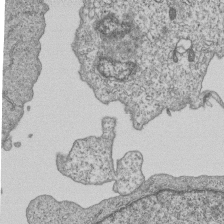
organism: Human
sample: MDA-MB-231 cells